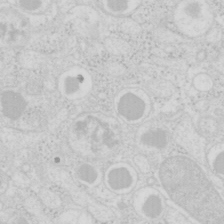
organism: Mouse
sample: Pancreas